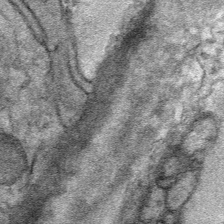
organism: Mouse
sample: Mouse Salivary gland